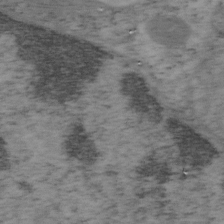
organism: Mouse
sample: OT-I killer T cells with ID8 ovarian cancer cells